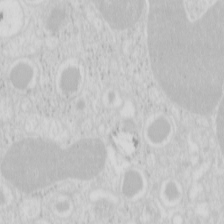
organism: Mouse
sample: Pancreas